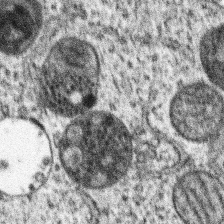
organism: Human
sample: HeLa cells